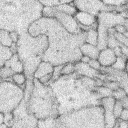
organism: Rabbit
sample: Retina